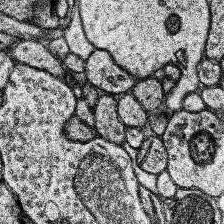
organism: Human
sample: Temporal Lobe